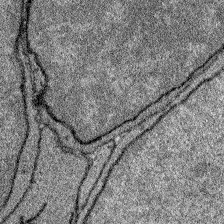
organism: Zebrafish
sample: Larval olfactory bulb